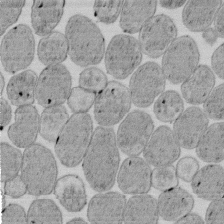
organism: E. coli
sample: Bacterial nucleoid